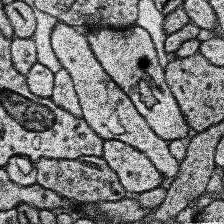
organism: Human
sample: Temporal Lobe